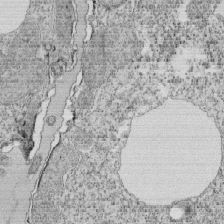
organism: Tetrahymena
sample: Cilia in tetrahymena